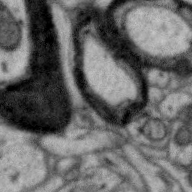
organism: Zebra finch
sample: Brain